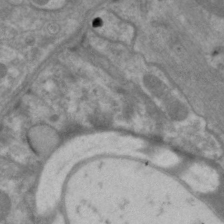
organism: C. elegans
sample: Pharynx